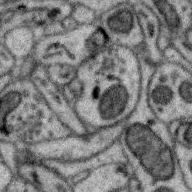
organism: Zebra finch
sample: Brain